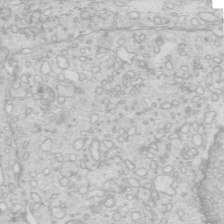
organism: Mouse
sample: Multiciliated cells